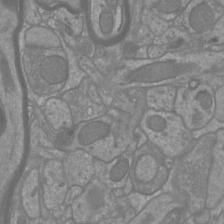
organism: Mouse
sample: Cortical neurons